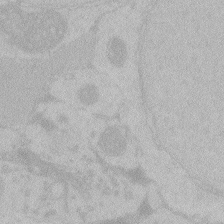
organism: Zebrafish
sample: Macrophage infected with Toxoplasma gondii